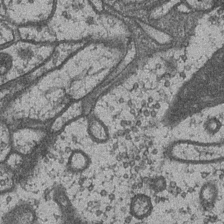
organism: Drosophila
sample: Optic medulla